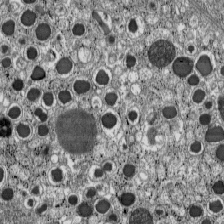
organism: C57BL Mouse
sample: Pancreatic islet